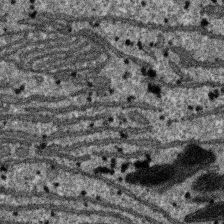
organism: Human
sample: Lung epithelial cells infected with SARS-CoV-2